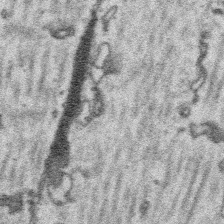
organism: Platynereis dumerilii